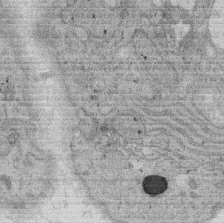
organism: Rat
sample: Salivary granule